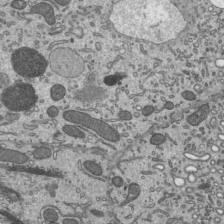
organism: Mouse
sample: Mouse epididymis efferent ductule cilia